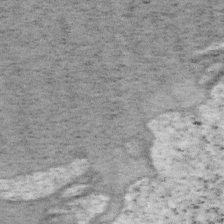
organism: Mouse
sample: OT-I killer T cells with ID8 ovarian cancer cells